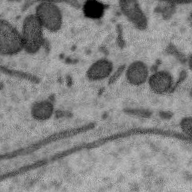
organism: Zebra finch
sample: Brain